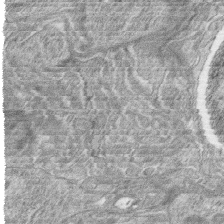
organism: Zebrafish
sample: synaptic ribbons in rod cells and cone cells